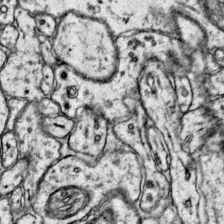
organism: Mouse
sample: Primary visual cortex